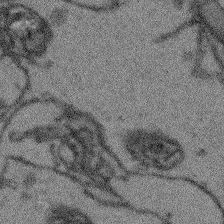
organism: Arabidopsis thaliana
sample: Root tip